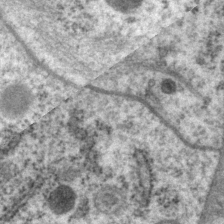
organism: P. pacificus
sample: Pharynx